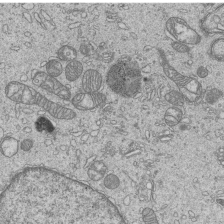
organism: Human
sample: MDA-MB-231 cells